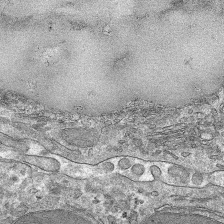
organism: Mouse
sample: Mouse hepatocytes